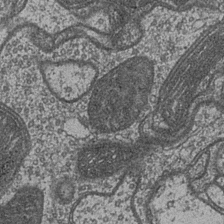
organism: Drosophila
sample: Optic medulla